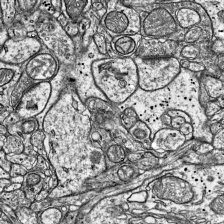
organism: Mouse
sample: Visual Cortex